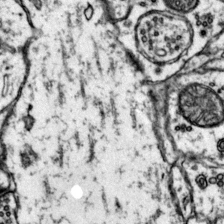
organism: Mouse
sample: Primary visual cortex